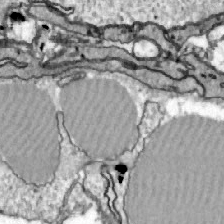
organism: Zebrafish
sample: Actinotrichia fibers